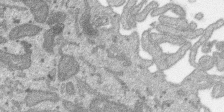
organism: Human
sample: Lung epithelial cells infected with SARS-CoV-2